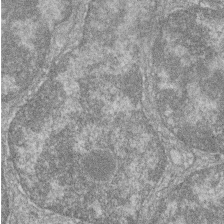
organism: Zebrafish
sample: Cilia; retinal pigment epithelium